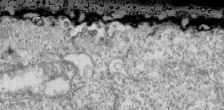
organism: Human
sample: HeLa cell HIV synapse